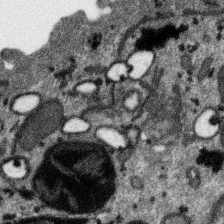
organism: Human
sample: Lung epithelial cells infected with SARS-CoV-2